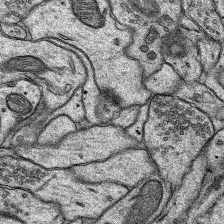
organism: Rat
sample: Hippocampus